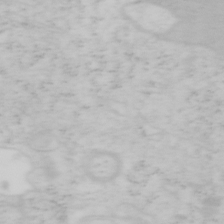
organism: Mouse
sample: OT-I killer T cells with ID8 ovarian cancer cells